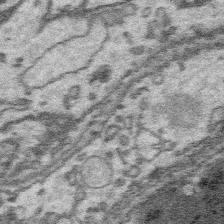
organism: Platynereis dumerilii